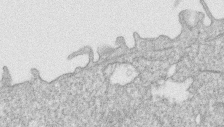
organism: Human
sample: HeLa cell HIV synapse